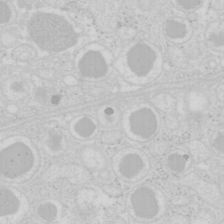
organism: Mouse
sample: Pancreas